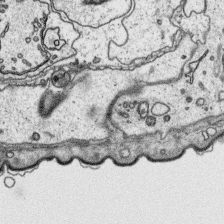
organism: Platynereis dumerilii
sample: Parapodia